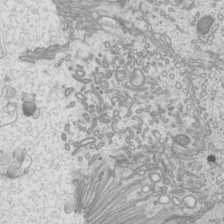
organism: Mouse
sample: Cilia; mouse epididymis